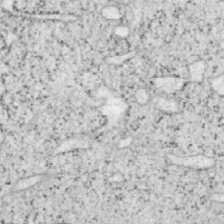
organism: Mouse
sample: OT-I killer T cells with ID8 ovarian cancer cells